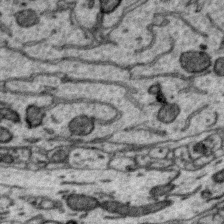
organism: Zebra finch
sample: Brain